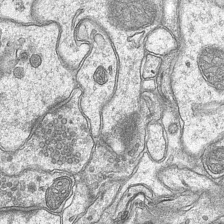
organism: Mouse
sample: CA1 Hippocampus